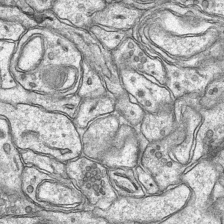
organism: Mouse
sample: CA1 Hippocampus